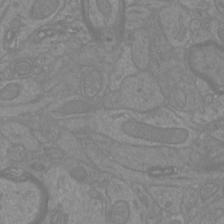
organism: Mouse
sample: Cortical neurons